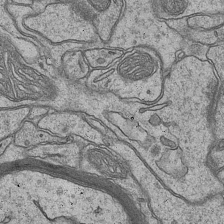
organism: Mouse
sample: CA1 Hippocampus